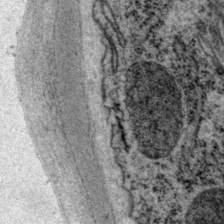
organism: P. pacificus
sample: Pharynx